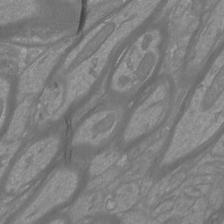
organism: Mouse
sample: Cortical neurons